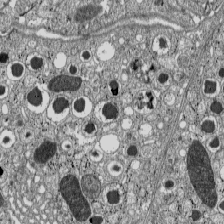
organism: C57BL Mouse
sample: Pancreatic islet